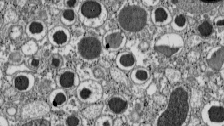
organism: C57BL Mouse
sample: Pancreatic islet